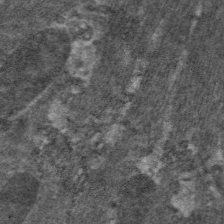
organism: C. elegans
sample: Pharynx